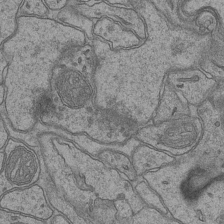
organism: Mouse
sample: CA1 Hippocampus